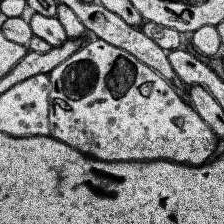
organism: Human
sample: Temporal Lobe